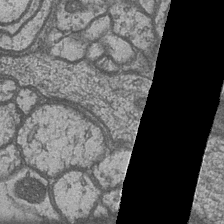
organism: Drosophila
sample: Optic medulla